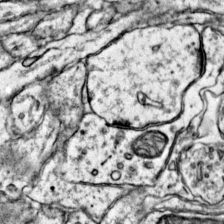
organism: Mouse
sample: Primary visual cortex